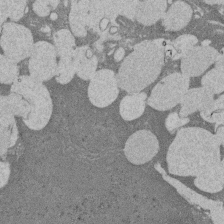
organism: Rat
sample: Salivary granule